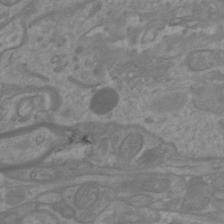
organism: Mouse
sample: Cortical neurons